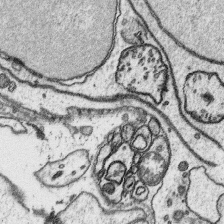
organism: Platynereis dumerilii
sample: Parapodia